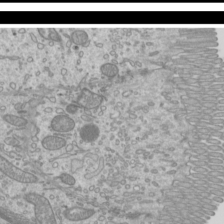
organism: Mouse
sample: Cilia; mouse epididymis